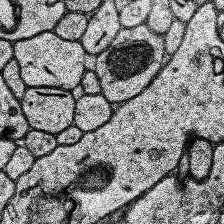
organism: Human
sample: Temporal Lobe